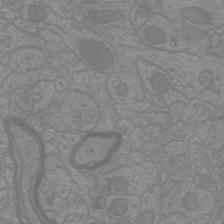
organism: Mouse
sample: Cortical neurons